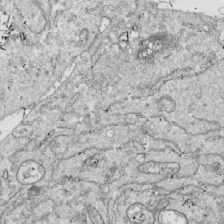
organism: Drosophila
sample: Cell division; meiosis; drosophila spermatocytes